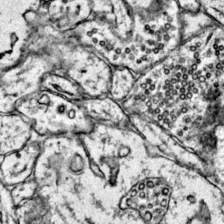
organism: Mouse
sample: Primary visual cortex